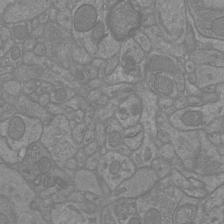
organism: Mouse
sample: Cortical neurons